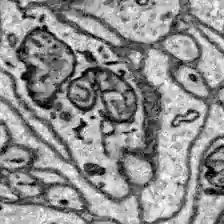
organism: Zebrafish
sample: Brain